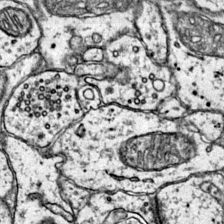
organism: Mouse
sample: Primary visual cortex